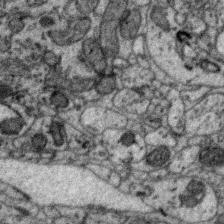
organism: Zebra finch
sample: Brain